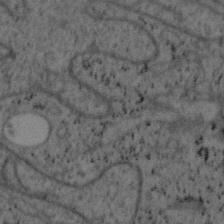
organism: Human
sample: HeLa cells